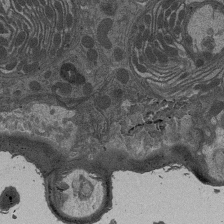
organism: Drosophila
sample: Antenna